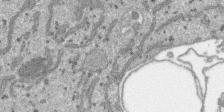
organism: Human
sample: Lung epithelial cells infected with SARS-CoV-2